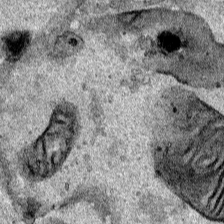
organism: Human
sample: Mitochondria in HCT116 cells